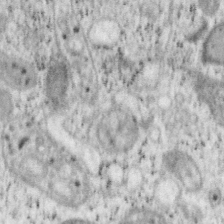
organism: Mouse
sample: OT-I killer T cells with ID8 ovarian cancer cells